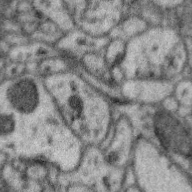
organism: Zebra finch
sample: Brain